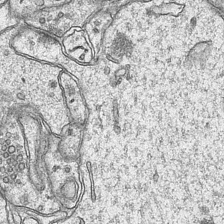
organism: Mouse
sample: CA1 Hippocampus